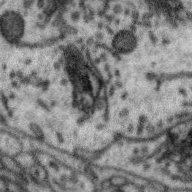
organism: Zebra finch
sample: Brain